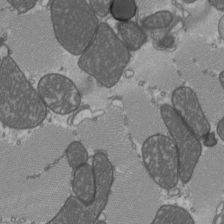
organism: C57BL Mouse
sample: Heart